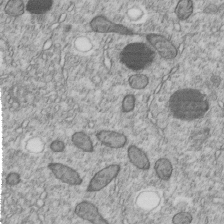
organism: C. elegans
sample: C. elegans embryo early stage